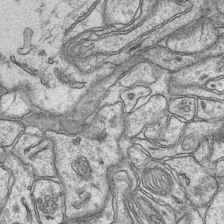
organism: Mouse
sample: CA1 Hippocampus